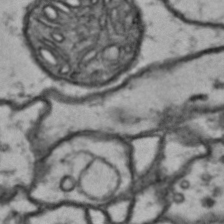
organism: Drosophila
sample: Brain